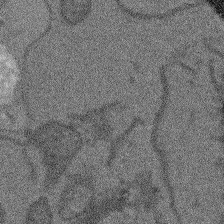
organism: Arabidopsis thaliana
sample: Root tip